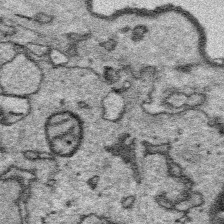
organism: Platynereis dumerilii